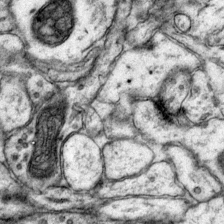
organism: Mouse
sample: Primary visual cortex